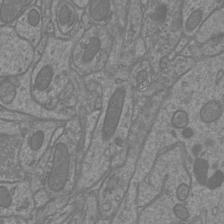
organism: Mouse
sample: Cortical neurons